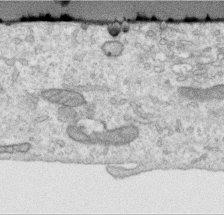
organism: Human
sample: Centriole in RPE cells